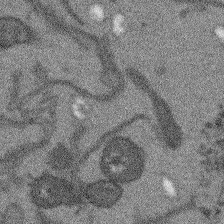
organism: Arabidopsis thaliana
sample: Root tip